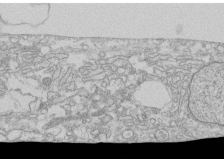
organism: Human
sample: CRL-1474